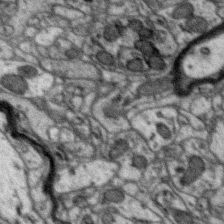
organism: Zebra finch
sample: Brain